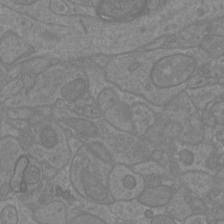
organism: Mouse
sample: Cortical neurons